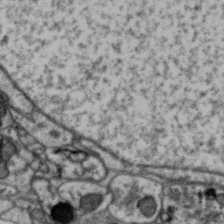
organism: Zebra finch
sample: Brain